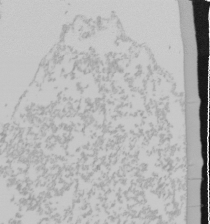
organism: Mouse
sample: Cancer cell death in ED-1 cells